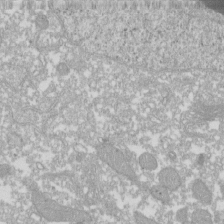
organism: Xenopus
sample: Cilia; centrioles in frog embryo cells